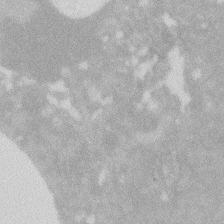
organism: Zebrafish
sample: Macrophage